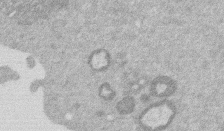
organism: Mouse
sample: Dividing mouse embryo 1 cell stage